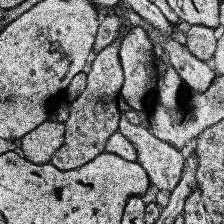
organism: Human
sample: Temporal Lobe